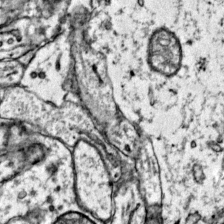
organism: Mouse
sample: Primary visual cortex